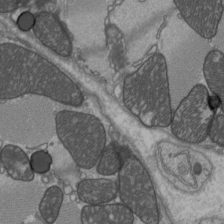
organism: C57BL Mouse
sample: Heart